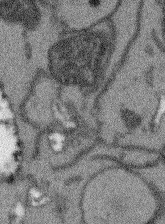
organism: Arabidopsis thaliana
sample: Root tip